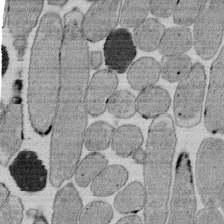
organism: E. coli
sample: Bacterial nucleoid